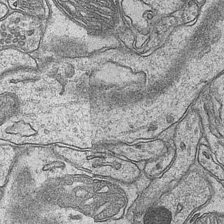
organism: Mouse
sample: CA1 Hippocampus